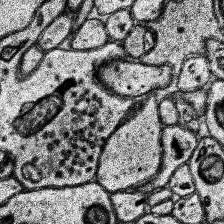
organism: Human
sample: Temporal Lobe